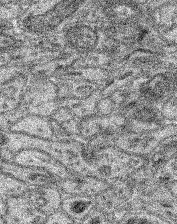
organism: Mouse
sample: Retina